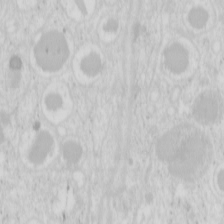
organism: Mouse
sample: Pancreas